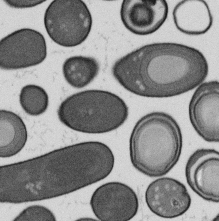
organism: B. subtilis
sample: Bacterial spore